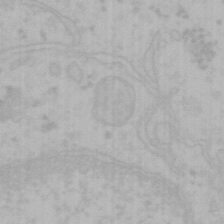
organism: Mouse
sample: Choroid plexus